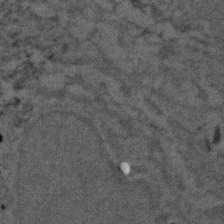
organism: Zebrafish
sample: Zebrafish embryo